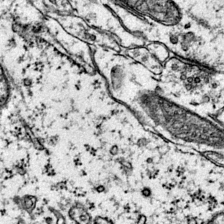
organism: Mouse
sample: Primary visual cortex